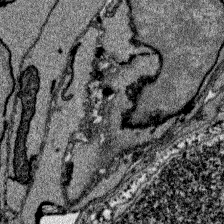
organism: Zebrafish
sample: Larval olfactory bulb